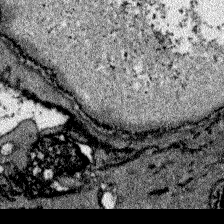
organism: Zebrafish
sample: Larval olfactory bulb